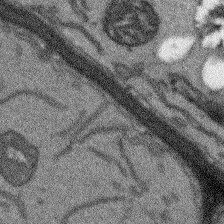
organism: Arabidopsis thaliana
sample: Root tip